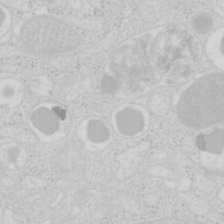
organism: Mouse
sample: Pancreas